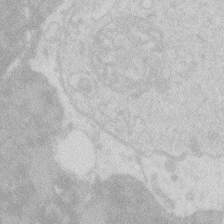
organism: Zebrafish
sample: Macrophage